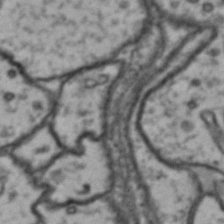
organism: Drosophila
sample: Brain